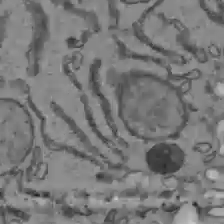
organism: C57BL Mouse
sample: Liver